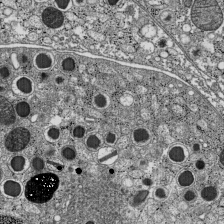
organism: C57BL Mouse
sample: Pancreatic islet